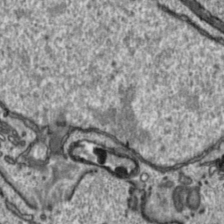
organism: Toxoplasma gondii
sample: Parasites in a vacuole inside a host cell